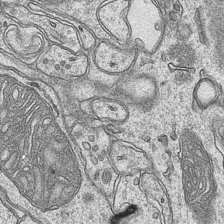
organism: Mouse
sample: CA1 Hippocampus